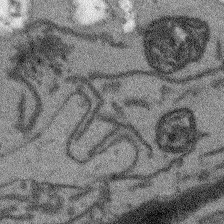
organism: Arabidopsis thaliana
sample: Root tip